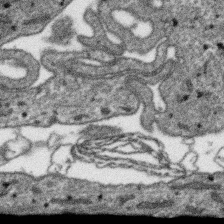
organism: Human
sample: Lung epithelial cells infected with SARS-CoV-2